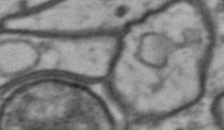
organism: Drosophila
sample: Brain